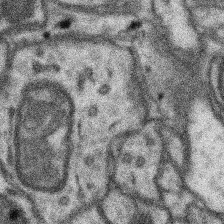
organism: Mouse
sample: Somatosensory cortex neuropil